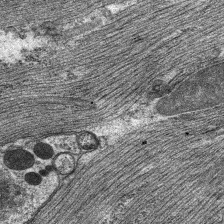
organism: C. elegans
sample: Pharynx